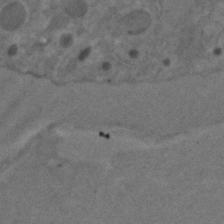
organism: C. elegans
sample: C. elegans embryo